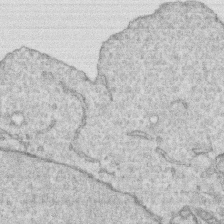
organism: Human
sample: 1205lu cells